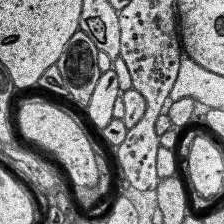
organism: Human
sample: Temporal Lobe